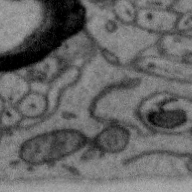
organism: Zebra finch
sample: Brain